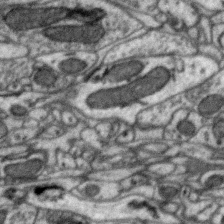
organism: Zebra finch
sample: Brain